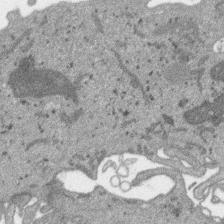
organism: Human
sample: Lung epithelial cells infected with SARS-CoV-2